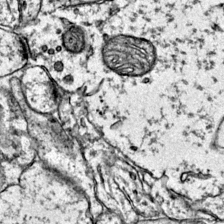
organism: Mouse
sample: Primary visual cortex